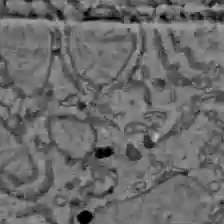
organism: C57BL Mouse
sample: Liver